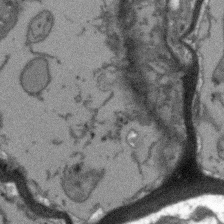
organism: Arabidopsis thaliana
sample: Root tip